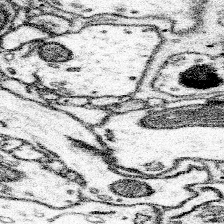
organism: Mouse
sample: Somatosensory cortex neuropil